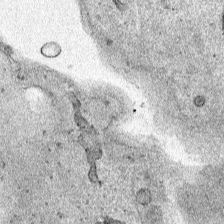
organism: Human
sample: Mitochondria in HCT116 cells